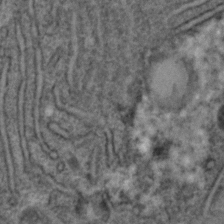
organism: C. elegans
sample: C. elegans embryo